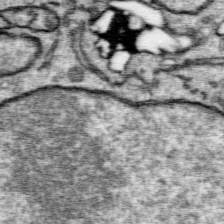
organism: Human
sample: HeLa cells